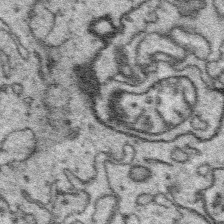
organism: Platynereis dumerilii